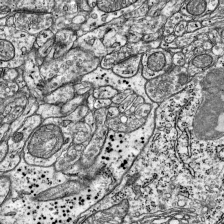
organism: Mouse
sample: Visual Cortex